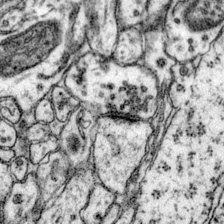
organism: Mouse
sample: Primary visual cortex